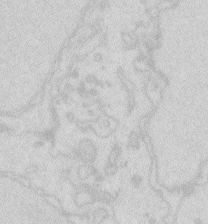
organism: Zebrafish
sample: Macrophage